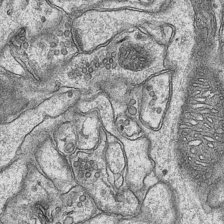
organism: Mouse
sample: CA1 Hippocampus